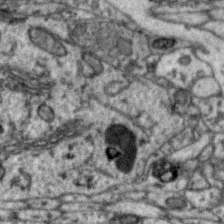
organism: Zebra finch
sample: Brain